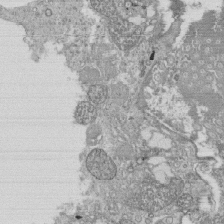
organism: Tetrahymena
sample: Cilia in tetrahymena